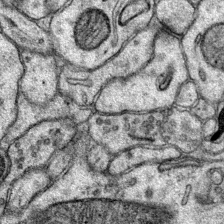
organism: Mouse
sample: Primary visual cortex